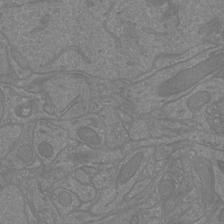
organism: Mouse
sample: Cortical neurons